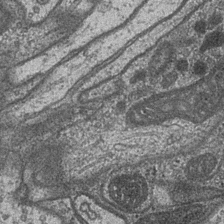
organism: Drosophila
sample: Optic medulla